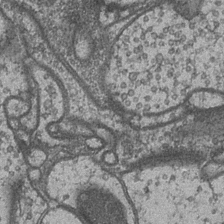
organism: Drosophila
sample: Optic medulla